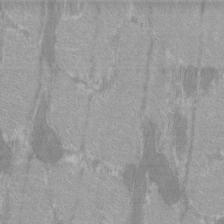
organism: C57BL Mouse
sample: Tibialis anterior muscle cell